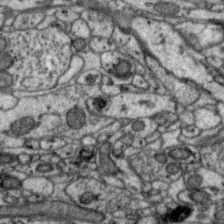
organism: Zebra finch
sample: Brain